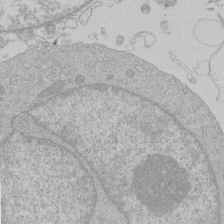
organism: Human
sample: Macrophage cells